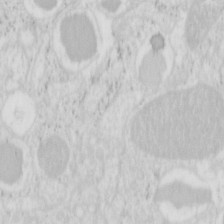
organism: Mouse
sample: Pancreas